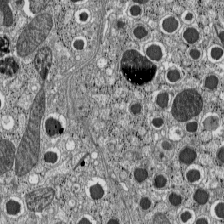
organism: C57BL Mouse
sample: Pancreatic islet